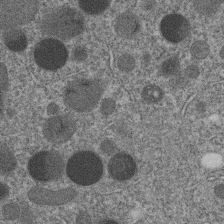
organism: C. elegans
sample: C. elegans embryo early stage